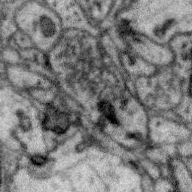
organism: Zebra finch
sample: Brain